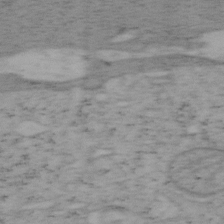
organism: Mouse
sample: OT-I killer T cells with ID8 ovarian cancer cells